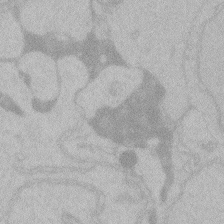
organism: Zebrafish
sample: Macrophage infected with Toxoplasma gondii